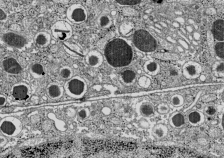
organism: C57BL Mouse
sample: Pancreatic islet